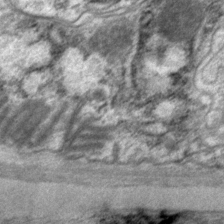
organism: P. pacificus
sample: Pharynx